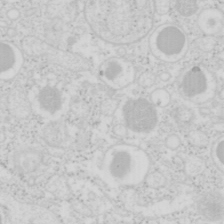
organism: Mouse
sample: Pancreas